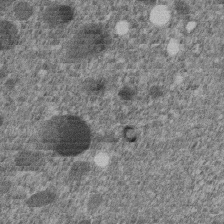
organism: C. elegans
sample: C. elegans embryo early stage